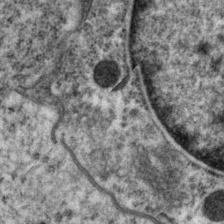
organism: P. pacificus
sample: Pharynx